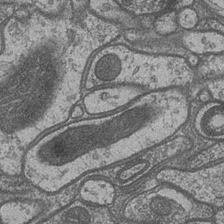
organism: Drosophila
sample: Optic medulla